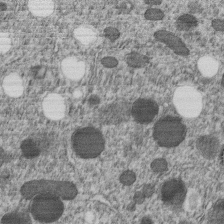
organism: C. elegans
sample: C. elegans embryo early stage